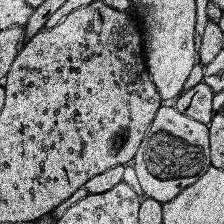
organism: Human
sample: Temporal Lobe